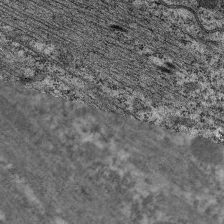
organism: C. elegans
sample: Pharynx